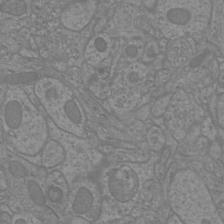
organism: Mouse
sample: Cortical neurons